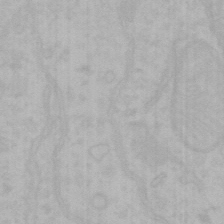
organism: Mouse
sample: Choroid plexus